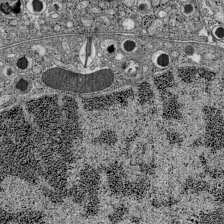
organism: C57BL Mouse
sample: Pancreatic islet